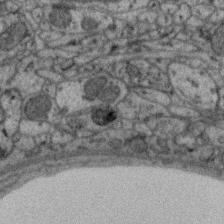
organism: Zebra finch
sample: Brain